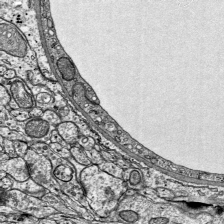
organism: Mouse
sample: Visual Cortex